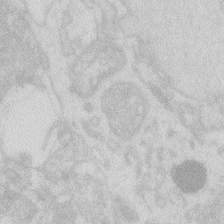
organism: Zebrafish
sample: Macrophage